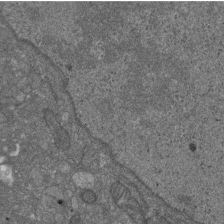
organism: Drosophila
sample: Nephrocyte